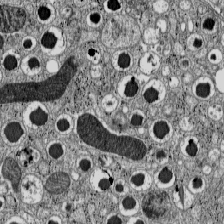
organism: C57BL Mouse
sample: Pancreatic islet